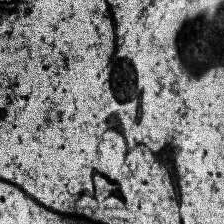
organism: Human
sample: Temporal Lobe